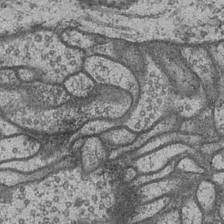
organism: Drosophila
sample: Optic medulla